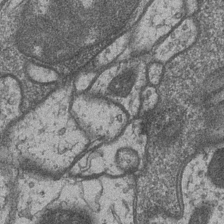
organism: Drosophila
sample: Optic medulla